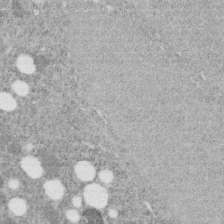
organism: C. elegans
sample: C. elegans embryo early stage